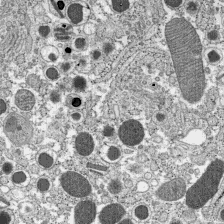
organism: C57BL Mouse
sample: Pancreatic islet